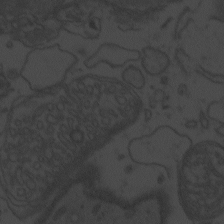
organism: Zebrafish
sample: Macrophage infected with Toxoplasma gondii